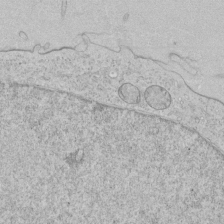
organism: Human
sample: Mitochondria in HCT116 cells